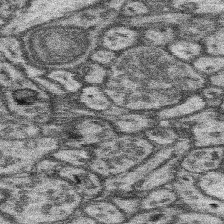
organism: Mouse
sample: Somatosensory cortex neuropil